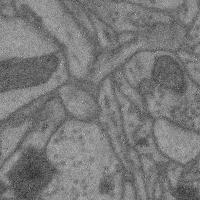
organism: Mouse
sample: Cerebral cortex